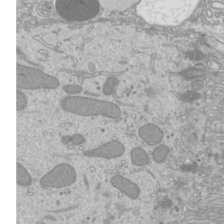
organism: Mouse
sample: Cilia; mouse epididymis